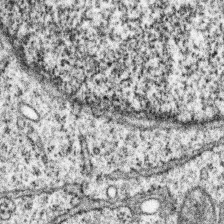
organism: Human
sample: HeLa cells